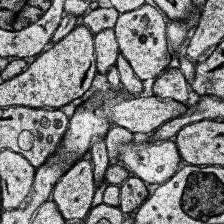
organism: Human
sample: Temporal Lobe